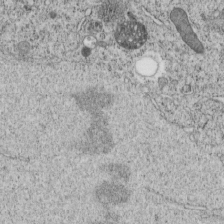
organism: C. elegans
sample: C. elegans embryo early stage